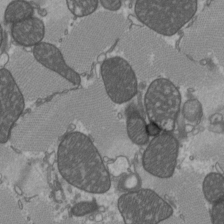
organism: C57BL Mouse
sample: Heart